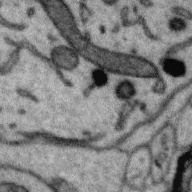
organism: Zebra finch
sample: Brain